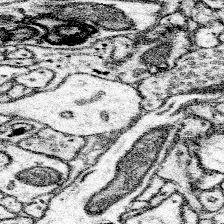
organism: Mouse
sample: Somatosensory cortex neuropil